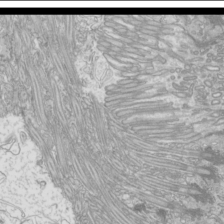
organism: Mouse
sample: Cilia; mouse epididymis